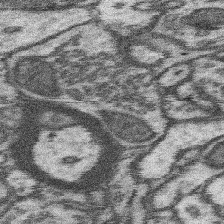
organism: Mouse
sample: Somatosensory cortex neuropil